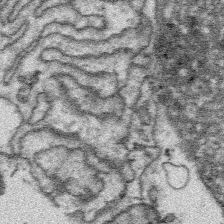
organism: Platynereis dumerilii